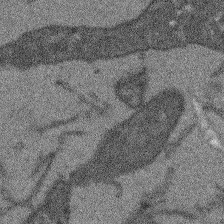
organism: Arabidopsis thaliana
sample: Root tip